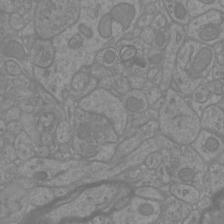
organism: Mouse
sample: Cortical neurons